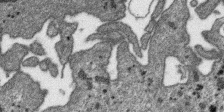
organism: Human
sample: Lung epithelial cells infected with SARS-CoV-2